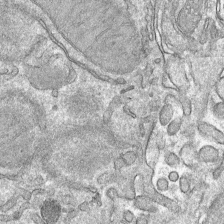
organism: Mouse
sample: Mouse hepatocytes